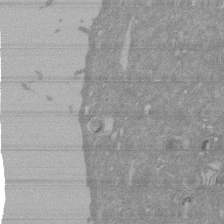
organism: Mouse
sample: ED-1 cell nuclei; centrioles